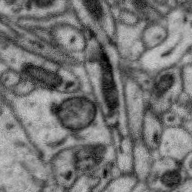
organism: Zebra finch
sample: Brain